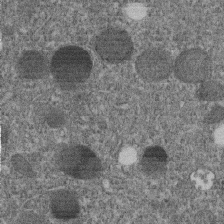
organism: C. elegans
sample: C. elegans embryo early stage